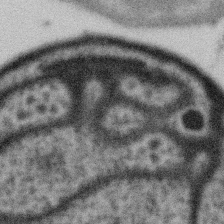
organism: Gemmata obscuriglobus